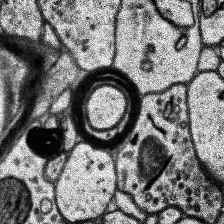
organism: Human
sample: Temporal Lobe